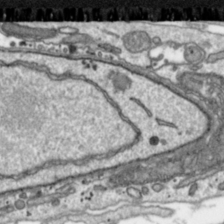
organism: Toxoplasma gondii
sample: Parasites in a vacuole inside a host cell